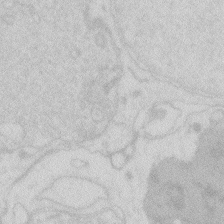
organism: Zebrafish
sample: Macrophage